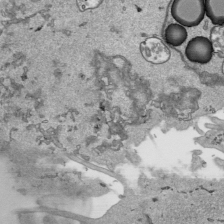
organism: Human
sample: Mitochondria in HCT116 cells